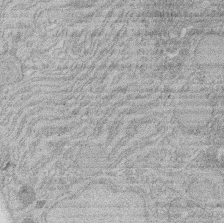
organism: Rat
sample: Salivary granule